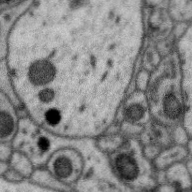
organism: Zebra finch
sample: Brain